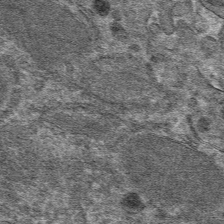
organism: Mouse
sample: Mouse hepatocytes